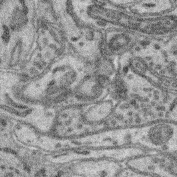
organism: Mouse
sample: Retina